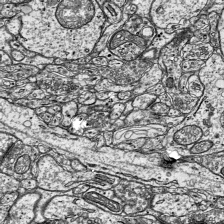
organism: Mouse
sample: Visual Cortex